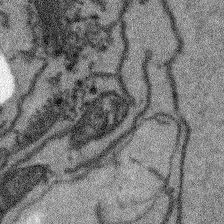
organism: Arabidopsis thaliana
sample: Root tip